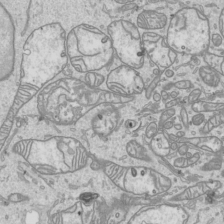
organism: Human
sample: Mitochondria in HCT116 cells